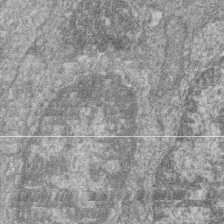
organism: Zebrafish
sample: Cilia; retinal pigment epithelium